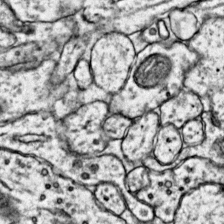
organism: Mouse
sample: Primary visual cortex